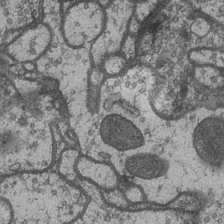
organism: Drosophila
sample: Optic medulla